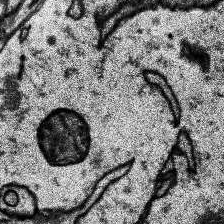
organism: Human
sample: Temporal Lobe